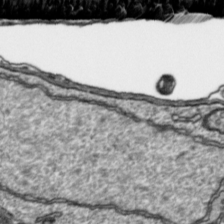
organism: Toxoplasma gondii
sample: Parasites in a vacuole inside a host cell